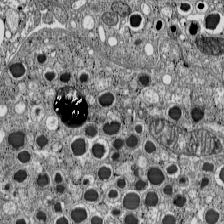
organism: C57BL Mouse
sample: Pancreatic islet